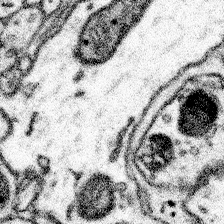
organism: Mouse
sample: Somatosensory cortex neuropil